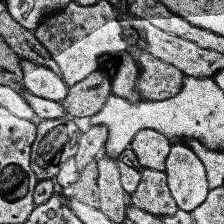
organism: Human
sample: Temporal Lobe